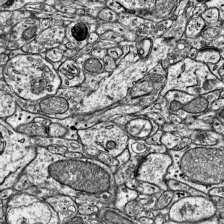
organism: Mouse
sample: Visual Cortex